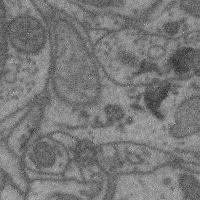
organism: Mouse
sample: Cerebral cortex